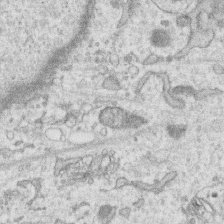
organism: Human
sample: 1205lu cells